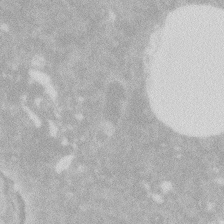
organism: Zebrafish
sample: Macrophage